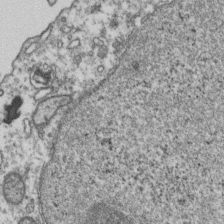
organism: Human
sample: Activated Jurkat CD4+ T cells